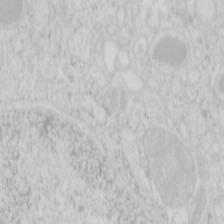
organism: Mouse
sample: Pancreas